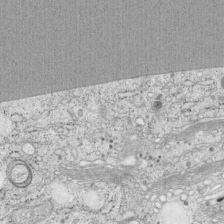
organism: African green monkey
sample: COS-7 cells